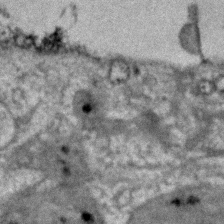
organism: Human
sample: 1205lu cells